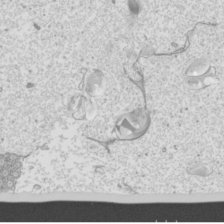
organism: Mouse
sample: Cilia; mouse epididymis